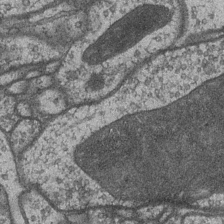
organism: Drosophila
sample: Optic medulla